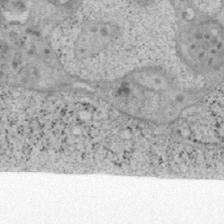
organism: Mouse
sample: OT-I killer T cells with ID8 ovarian cancer cells